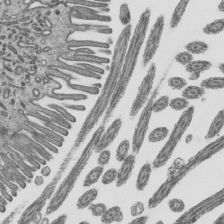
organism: Mouse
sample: Mouse epididymis efferent ductule cilia